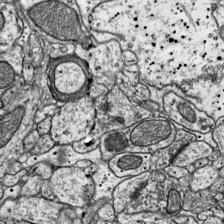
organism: Mouse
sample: Visual Cortex